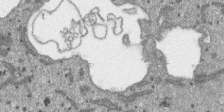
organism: Human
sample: Lung epithelial cells infected with SARS-CoV-2